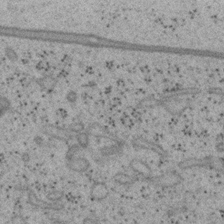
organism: Human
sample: HeLa cells